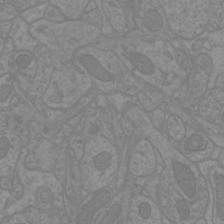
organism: Mouse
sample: Cortical neurons